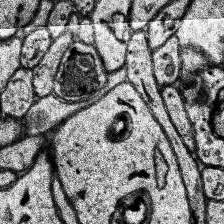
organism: Human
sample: Temporal Lobe